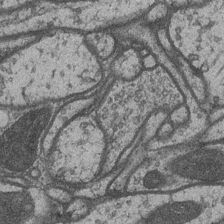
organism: Drosophila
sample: Optic medulla